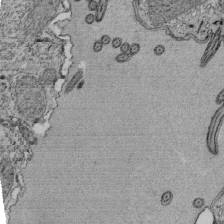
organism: Tetrahymena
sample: Cilia in tetrahymena